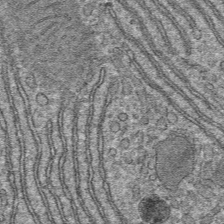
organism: Mouse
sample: Mouse hepatocytes